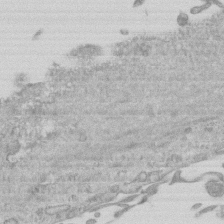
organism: Mouse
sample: Centriole in ependymal cells